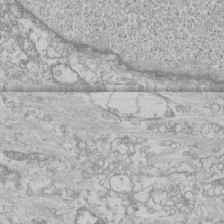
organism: Human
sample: CRL-1474